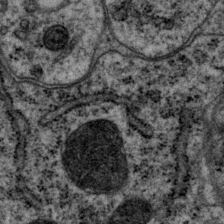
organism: P. pacificus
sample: Pharynx